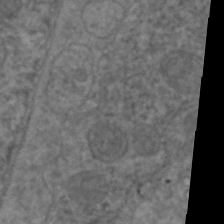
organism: C. elegans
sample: Pharynx